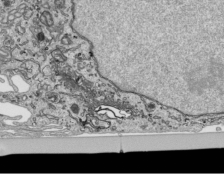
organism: Human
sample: Mitochondria in HCT116 cells